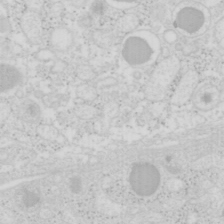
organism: Mouse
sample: Pancreas